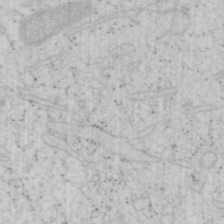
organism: Human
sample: HeLa cells